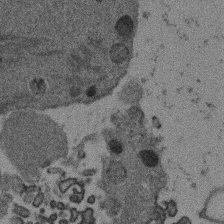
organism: Mouse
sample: Dividing mouse embryo 1 cell stage